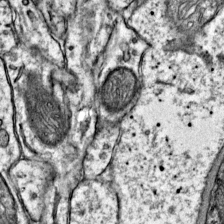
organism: Mouse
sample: Primary visual cortex